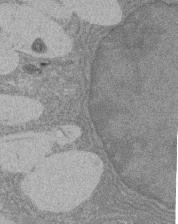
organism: Rat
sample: Salivary granule